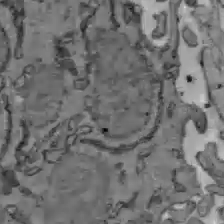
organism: C57BL Mouse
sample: Liver